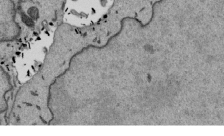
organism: Mouse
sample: ED-1 cell nuclei; centrioles